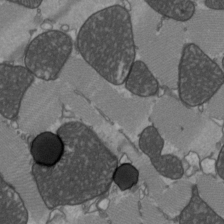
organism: C57BL Mouse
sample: Heart